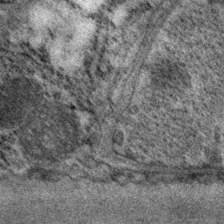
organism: P. pacificus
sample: Pharynx